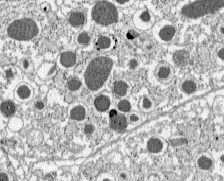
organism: C57BL Mouse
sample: Pancreatic islet